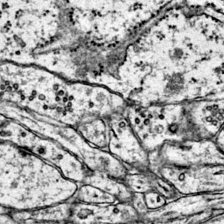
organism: Mouse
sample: Primary visual cortex